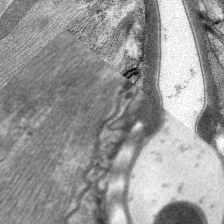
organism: C. elegans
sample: Pharynx